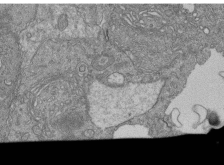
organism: Human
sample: Retinal organoid Rod and Cone cells